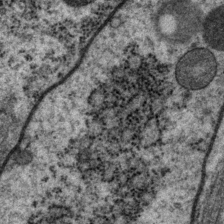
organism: P. pacificus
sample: Pharynx